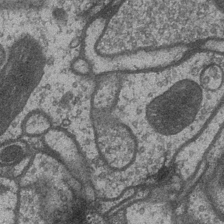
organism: Drosophila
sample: Optic medulla